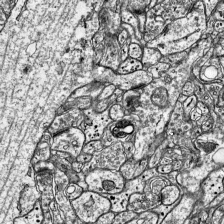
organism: Mouse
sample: Visual Cortex